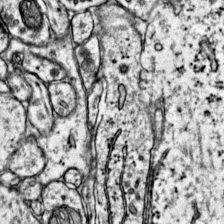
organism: Mouse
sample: Primary visual cortex